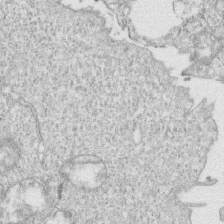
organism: Human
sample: HeLa cell HIV synapse